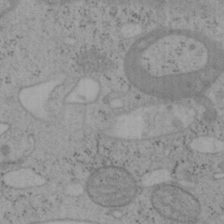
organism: Mouse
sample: OT-I killer T cells with ID8 ovarian cancer cells